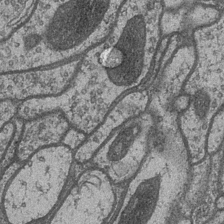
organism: Drosophila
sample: Optic medulla